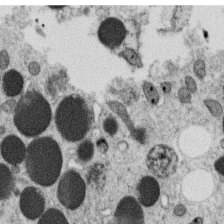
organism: C. elegans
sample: C. elegans oocyte; sperm cells